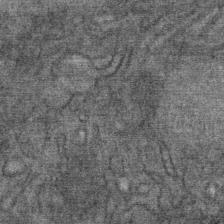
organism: Mouse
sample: Mouse Salivary gland